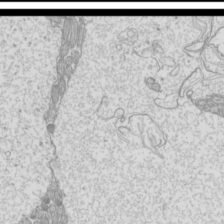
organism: Mouse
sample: Cilia; mouse epididymis